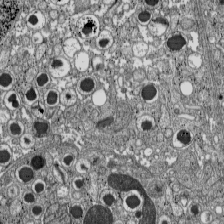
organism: C57BL Mouse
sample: Pancreatic islet